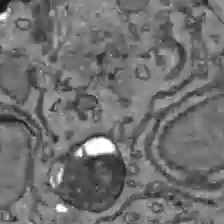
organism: C57BL Mouse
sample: Liver